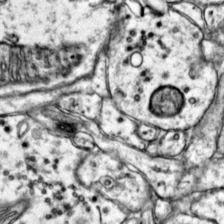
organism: Mouse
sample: Primary visual cortex